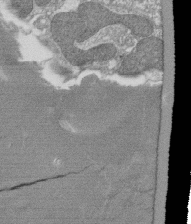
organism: Tetrahymena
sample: Cilia in tetrahymena